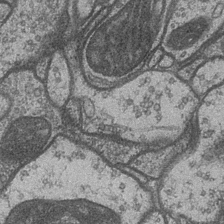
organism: Drosophila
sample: Optic medulla